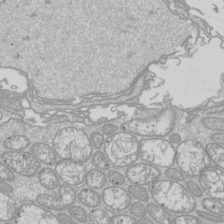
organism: Drosophila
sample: Cell division; meiosis; drosophila spermatocytes